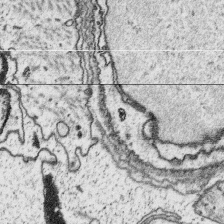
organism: Platynereis dumerilii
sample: Parapodia